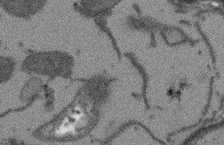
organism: Arabidopsis thaliana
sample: Root tip